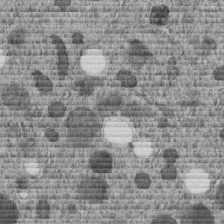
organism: C. elegans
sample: C. elegans embryo early stage